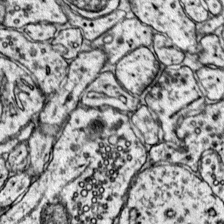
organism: Mouse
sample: Primary visual cortex